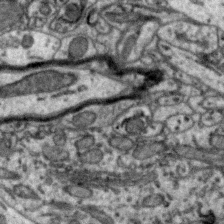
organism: Zebra finch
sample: Brain